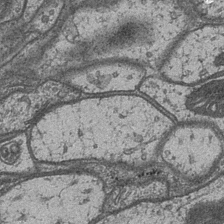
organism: Drosophila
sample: Optic medulla